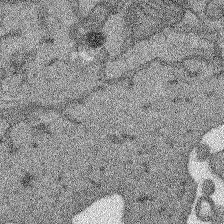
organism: Human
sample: HeLa cells